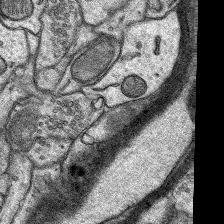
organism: Rat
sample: Hippocampus